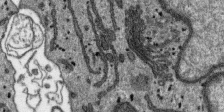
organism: Human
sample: Lung epithelial cells, uninfected (mock) control